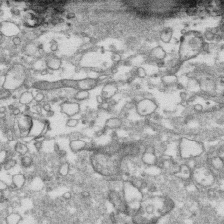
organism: Human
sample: CRL-1474